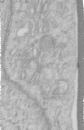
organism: Human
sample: Centriole in RPE cells